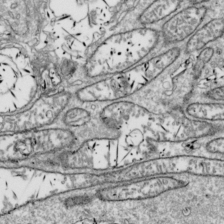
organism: Drosophila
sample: Cell division; meiosis; drosophila spermatocytes